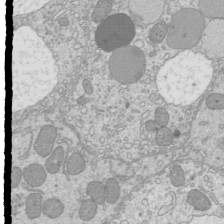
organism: Mouse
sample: Cilia; mouse epididymis